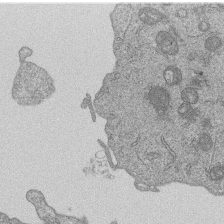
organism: Human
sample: MDA-MB-231 cells